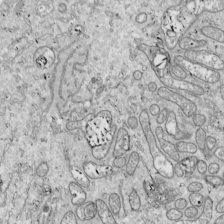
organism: Drosophila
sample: Cell division; meiosis; drosophila spermatocytes